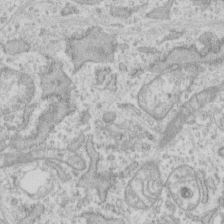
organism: Human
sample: Fibroblast cells